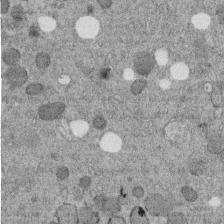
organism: C. elegans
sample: C. elegans embryo early stage